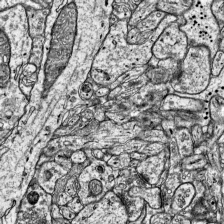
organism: Mouse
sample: Visual Cortex